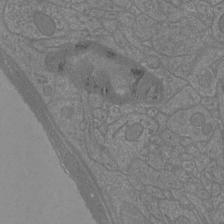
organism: Mouse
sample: Cortical neurons